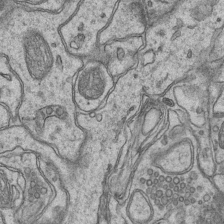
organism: Mouse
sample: CA1 Hippocampus